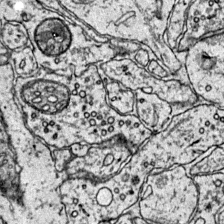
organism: Mouse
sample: Primary visual cortex